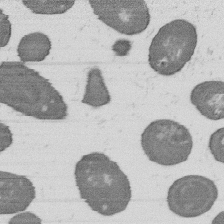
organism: B. subtilis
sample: Bacterial spore